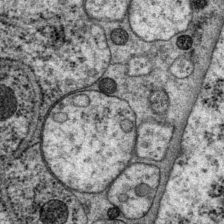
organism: P. pacificus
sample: Pharynx